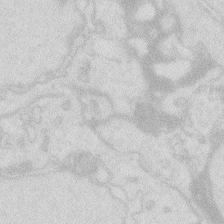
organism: Zebrafish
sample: Macrophage